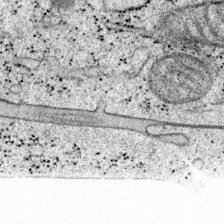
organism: Human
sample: HeLa cells